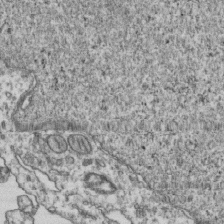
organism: Human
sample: Activated Jurkat CD4+ T cells